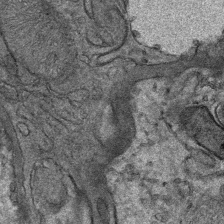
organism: Mouse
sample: Mouse Salivary gland